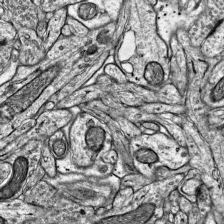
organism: Mouse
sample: Visual Cortex